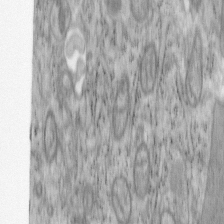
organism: Human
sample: HeLa cells